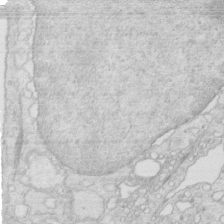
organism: Mouse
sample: Multiciliated cells